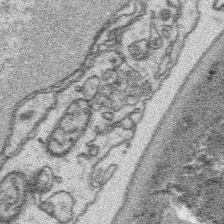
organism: Platynereis dumerilii